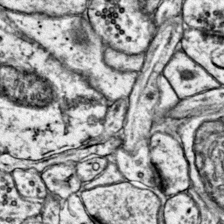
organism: Mouse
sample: Primary visual cortex